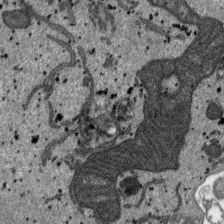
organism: Human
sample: Lung epithelial cells, uninfected (mock) control